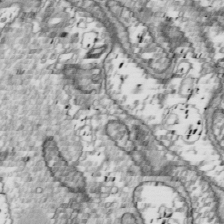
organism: Drosophila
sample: Cell division; meiosis; drosophila spermatocytes